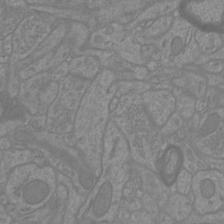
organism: Mouse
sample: Cortical neurons